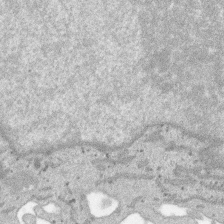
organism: Human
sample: Lung epithelial cells infected with SARS-CoV-2